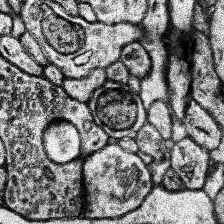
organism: Human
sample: Temporal Lobe